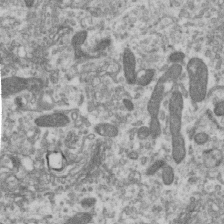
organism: Human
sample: Centriole in RPE cells